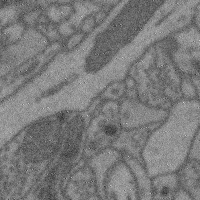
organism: Mouse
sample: Cerebral cortex